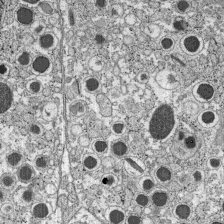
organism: C57BL Mouse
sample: Pancreatic islet